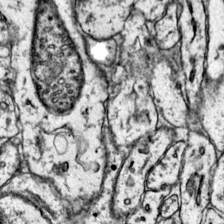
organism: Mouse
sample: Primary visual cortex